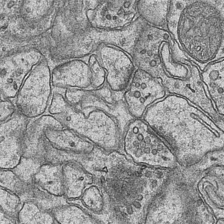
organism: Mouse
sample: CA1 Hippocampus